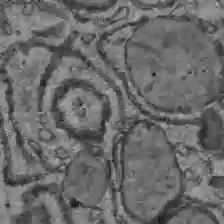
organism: C57BL Mouse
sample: Liver